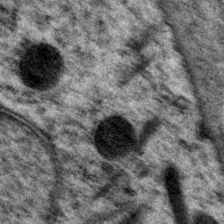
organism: P. pacificus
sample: Pharynx